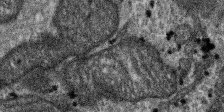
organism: Human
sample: Lung epithelial cells infected with SARS-CoV-2